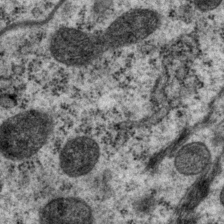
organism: P. pacificus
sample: Pharynx